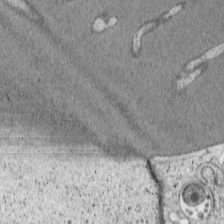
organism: African green monkey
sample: COS-7 cells